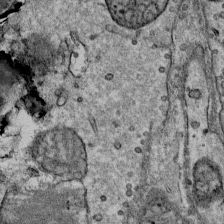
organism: Mouse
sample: Mouse Salivary gland